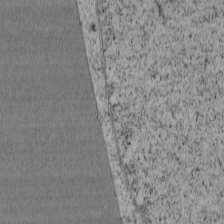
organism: African green monkey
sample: COS-7 cells